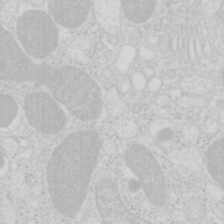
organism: Mouse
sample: Pancreas